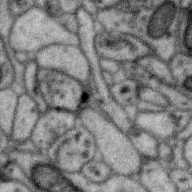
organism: Zebra finch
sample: Brain